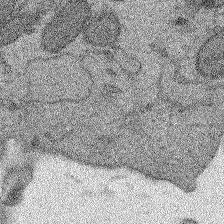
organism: Human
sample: HeLa cells